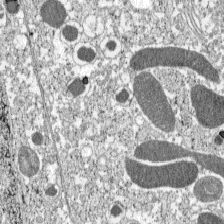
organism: C57BL Mouse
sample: Pancreatic islet